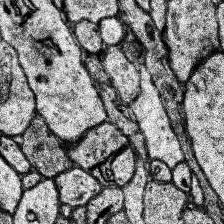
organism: Human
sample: Temporal Lobe